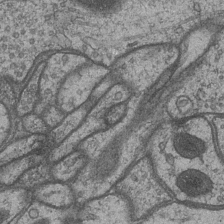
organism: Drosophila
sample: Optic medulla